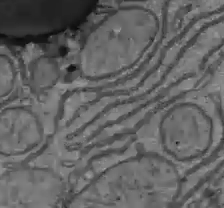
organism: C57BL Mouse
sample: Liver